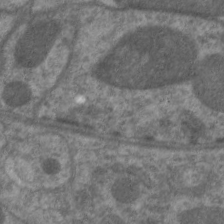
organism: C. elegans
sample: Pharynx